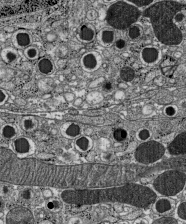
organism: C57BL Mouse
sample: Pancreatic islet